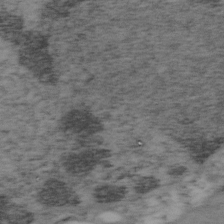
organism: Mouse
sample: OT-I killer T cells with ID8 ovarian cancer cells